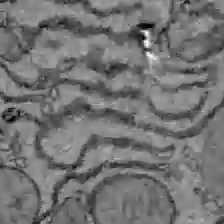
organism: C57BL Mouse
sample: Liver